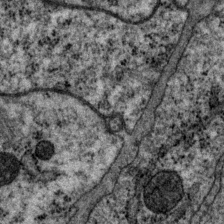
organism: P. pacificus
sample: Pharynx